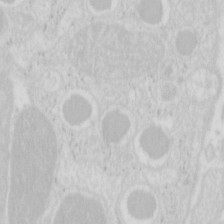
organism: Mouse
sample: Pancreas